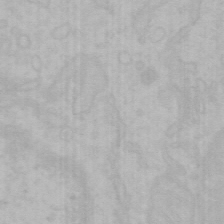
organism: Mouse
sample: Choroid plexus